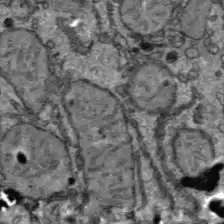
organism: C57BL Mouse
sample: Liver